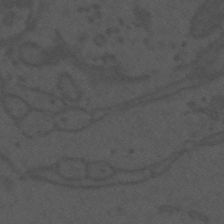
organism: Mouse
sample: Suprachiasmatic nucleus